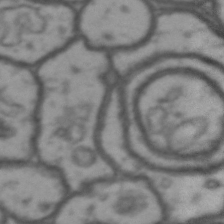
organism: Drosophila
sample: Brain